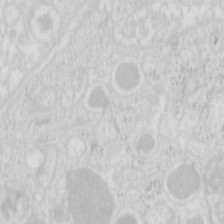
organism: Mouse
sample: Pancreas